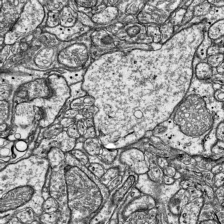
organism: Mouse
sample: Visual Cortex